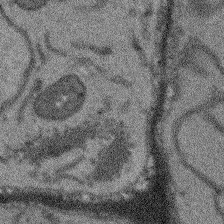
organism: Arabidopsis thaliana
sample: Root tip